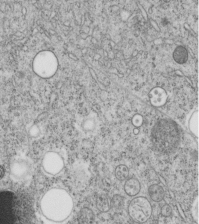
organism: C. elegans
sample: C. elegans embryo early stage